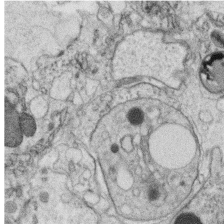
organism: C. elegans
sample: C. elegans oocyte; sperm cells